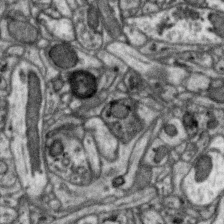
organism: Zebra finch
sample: Brain